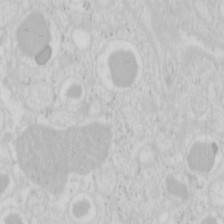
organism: Mouse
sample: Pancreas